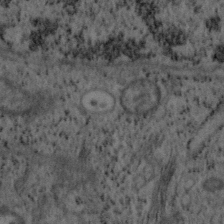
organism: Human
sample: HeLa cells